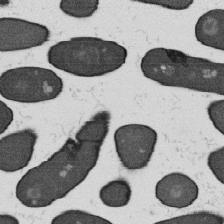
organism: B. subtilis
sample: Bacterial spore